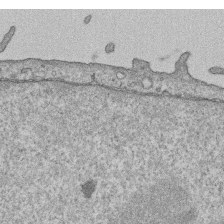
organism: Human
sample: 1205lu cells